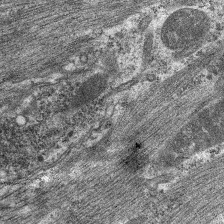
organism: C. elegans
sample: Pharynx